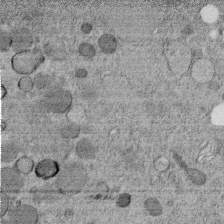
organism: C. elegans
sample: C. elegans embryo early stage